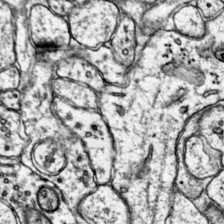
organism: Mouse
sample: Primary visual cortex